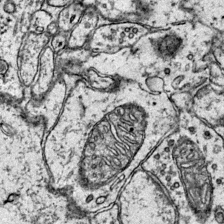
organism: Mouse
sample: Primary visual cortex